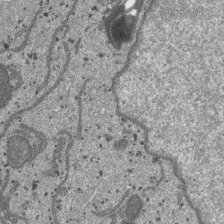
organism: Human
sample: Lung epithelial cells infected with SARS-CoV-2